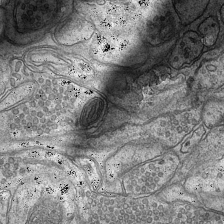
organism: Mouse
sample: CA1 Hippocampus